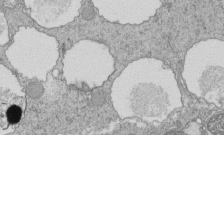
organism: Tetrahymena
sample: Cilia in tetrahymena